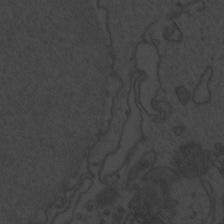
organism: Zebrafish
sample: Macrophage infected with Toxoplasma gondii